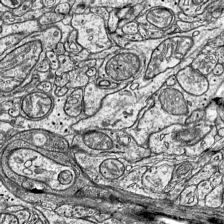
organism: Mouse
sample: Visual Cortex